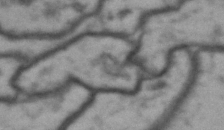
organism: Drosophila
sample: Brain